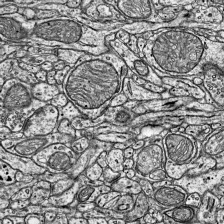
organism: Mouse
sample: Visual Cortex